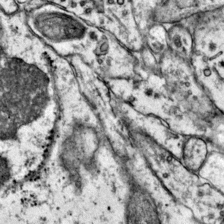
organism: Mouse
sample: Primary visual cortex